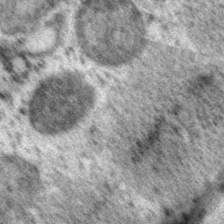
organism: P. pacificus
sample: Pharynx